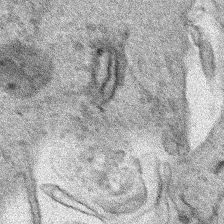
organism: Human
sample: Mitochondria in HCT116 cells